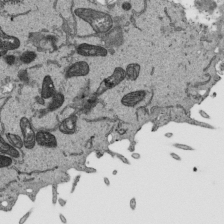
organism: Human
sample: Mitochondria in HCT116 cells